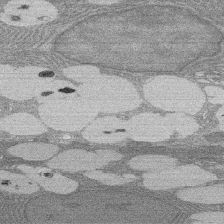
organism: Rat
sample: Salivary granule